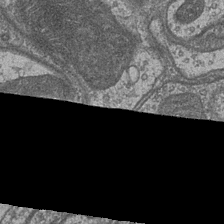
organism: Drosophila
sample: Optic medulla